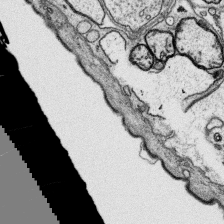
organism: Platynereis dumerilii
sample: Parapodia